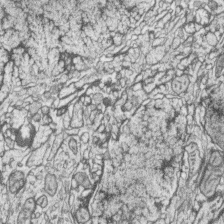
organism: Zebrafish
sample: synaptic ribbons in rod cells and cone cells